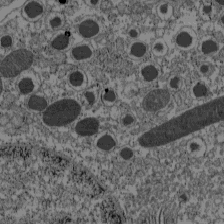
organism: C57BL Mouse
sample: Pancreatic islet